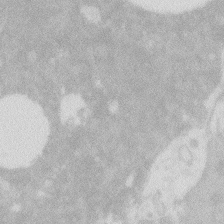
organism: Zebrafish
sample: Macrophage